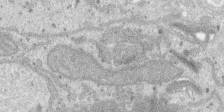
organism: Human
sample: Lung epithelial cells infected with SARS-CoV-2